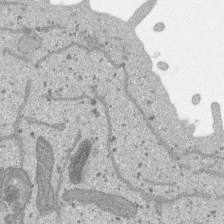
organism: Human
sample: Lung epithelial cells infected with SARS-CoV-2